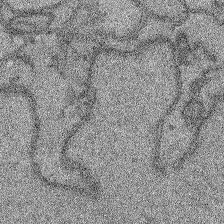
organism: Human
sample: HeLa cells